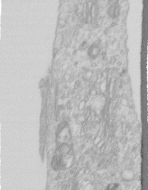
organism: Human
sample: Centriole in RPE cells